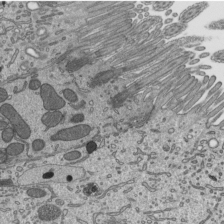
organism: Mouse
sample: Mouse epididymis efferent ductule cilia